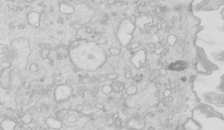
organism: Mouse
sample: Multiciliated cells